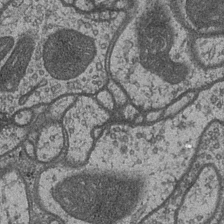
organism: Drosophila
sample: Optic medulla